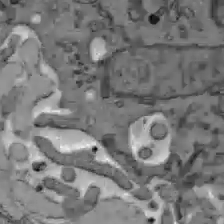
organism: C57BL Mouse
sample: Liver